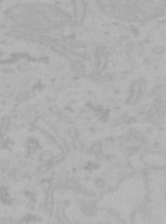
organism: Mouse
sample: Choroid plexus